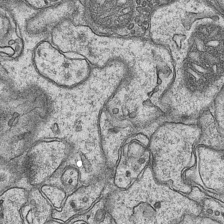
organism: Mouse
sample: CA1 Hippocampus